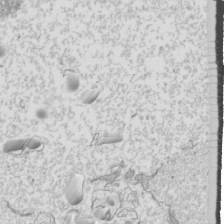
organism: Mouse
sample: Cilia; mouse epididymis